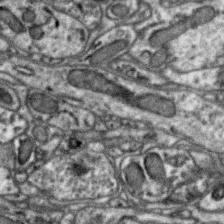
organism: Zebra finch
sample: Brain